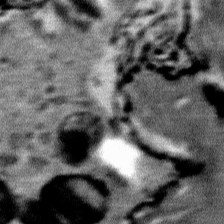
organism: Mouse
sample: Mouse Salivary gland